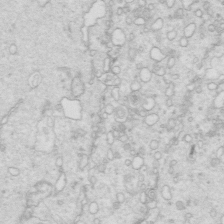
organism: Mouse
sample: Multiciliated cells